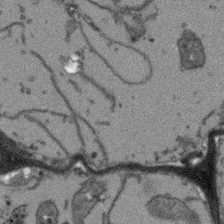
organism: Arabidopsis thaliana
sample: Root tip